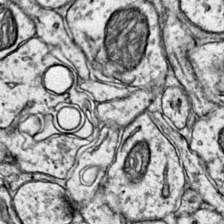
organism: Mouse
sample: Primary visual cortex